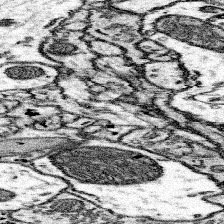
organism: Mouse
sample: Somatosensory cortex neuropil